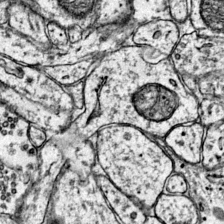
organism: Mouse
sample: Primary visual cortex